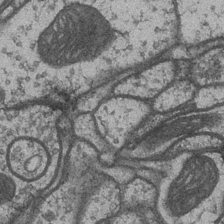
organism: Drosophila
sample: Optic medulla